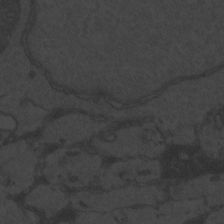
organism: Zebrafish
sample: Macrophage infected with Toxoplasma gondii